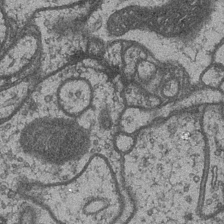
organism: Drosophila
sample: Optic medulla